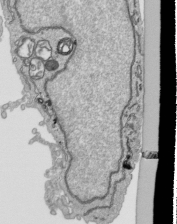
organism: Human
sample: Mitochondria in HCT116 cells